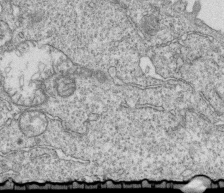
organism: Human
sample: HeLa cell HIV synapse